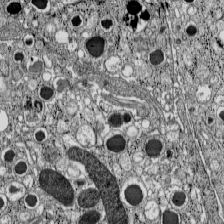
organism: C57BL Mouse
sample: Pancreatic islet